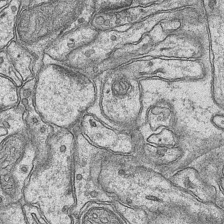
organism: Mouse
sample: CA1 Hippocampus